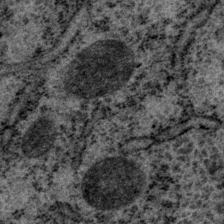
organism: P. pacificus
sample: Pharynx